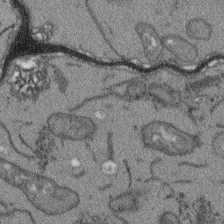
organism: Arabidopsis thaliana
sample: Root tip